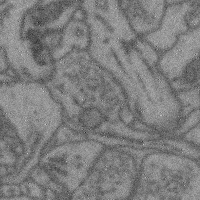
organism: Mouse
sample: Cerebral cortex